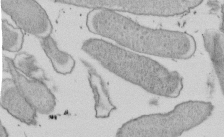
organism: E. coli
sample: Bacterial nucleoid